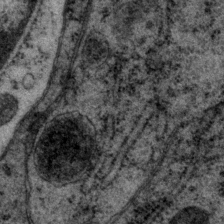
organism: P. pacificus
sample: Pharynx